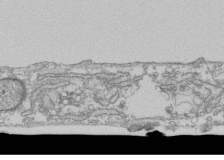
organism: Human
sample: Fibroblast cells